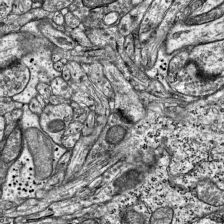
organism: Mouse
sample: Visual Cortex